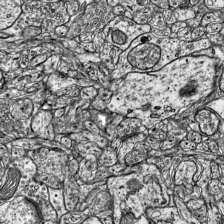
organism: Mouse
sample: Visual Cortex